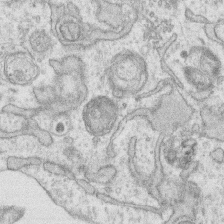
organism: Human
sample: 1205lu cells